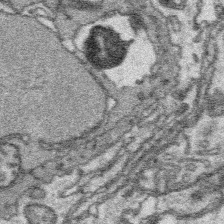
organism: Platynereis dumerilii